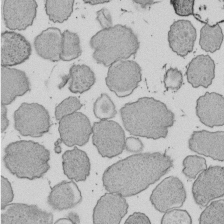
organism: E. coli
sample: Bacterial nucleoid